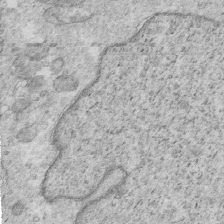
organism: Mouse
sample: Multiciliated cells